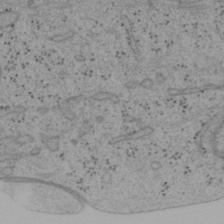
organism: Human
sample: HeLa cells